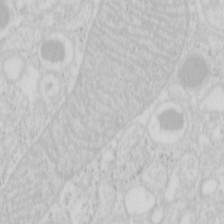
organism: Mouse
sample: Pancreas